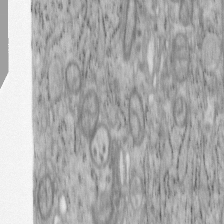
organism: Human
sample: HeLa cells